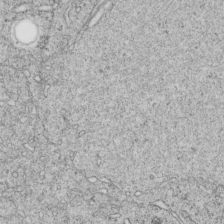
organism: C. elegans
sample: C. elegans embryo early stage